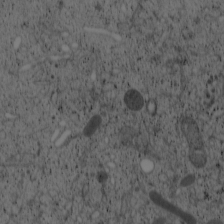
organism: African green monkey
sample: COS-7 cells